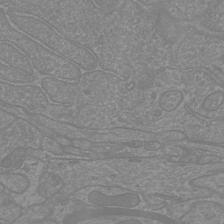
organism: Mouse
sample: Cortical neurons